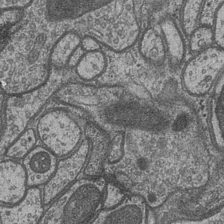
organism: Drosophila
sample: Optic medulla